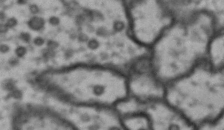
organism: Drosophila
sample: Brain